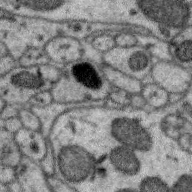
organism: Zebra finch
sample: Brain